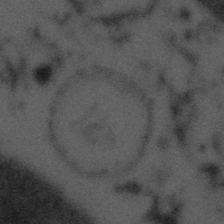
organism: Tuwongella immobilis